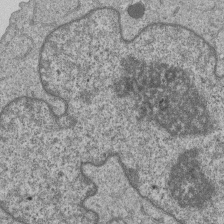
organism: Human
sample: MDA-MB-231 cells